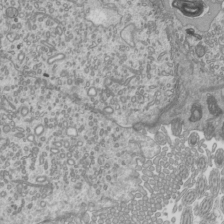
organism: Mouse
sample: Cilia; mouse epididymis